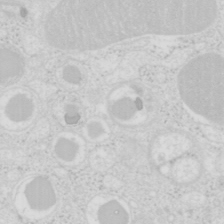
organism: Mouse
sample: Pancreas